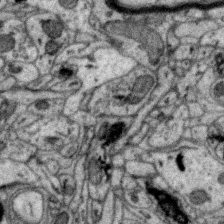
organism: Zebra finch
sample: Brain